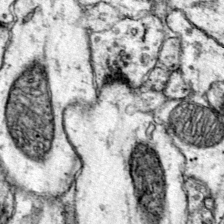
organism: Mouse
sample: Primary visual cortex